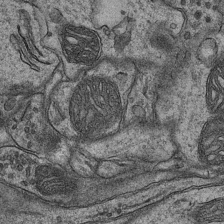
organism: Mouse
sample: CA1 Hippocampus